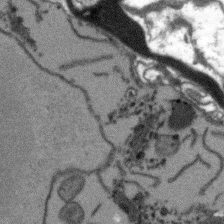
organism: Arabidopsis thaliana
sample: Root tip